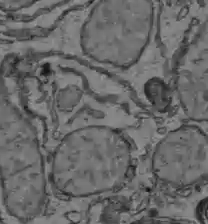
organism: C57BL Mouse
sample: Liver